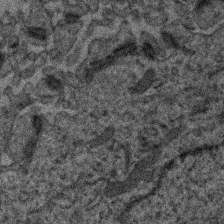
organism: Human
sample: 1205lu cells